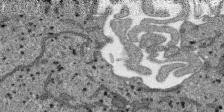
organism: Human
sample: Lung epithelial cells infected with SARS-CoV-2